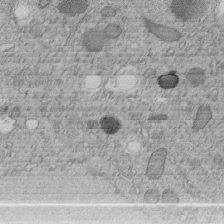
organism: C. elegans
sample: C. elegans embryo early stage